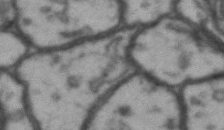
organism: Drosophila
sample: Brain